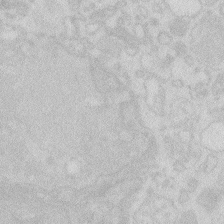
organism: Zebrafish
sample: Macrophage